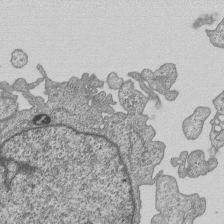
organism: Human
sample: MDA-MB-231 cells